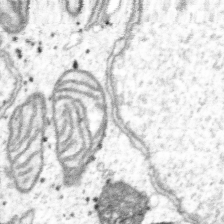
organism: Human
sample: HeLa cells